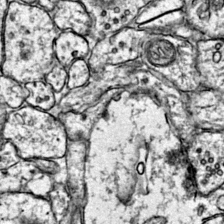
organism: Mouse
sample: Primary visual cortex